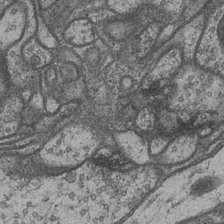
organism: Drosophila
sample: Optic medulla